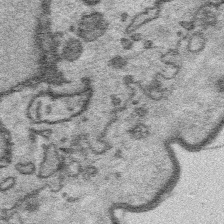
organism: Platynereis dumerilii